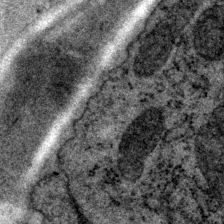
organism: P. pacificus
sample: Pharynx